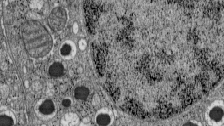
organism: C57BL Mouse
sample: Pancreatic islet